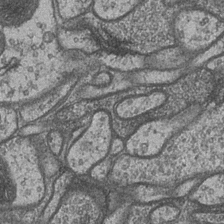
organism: Drosophila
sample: Optic medulla